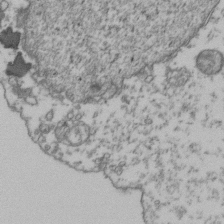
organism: Human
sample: Activated Jurkat CD4+ T cells